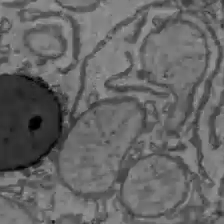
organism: C57BL Mouse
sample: Liver